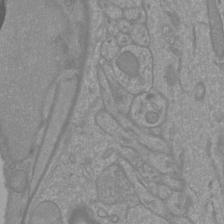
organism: Mouse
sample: Cortical neurons